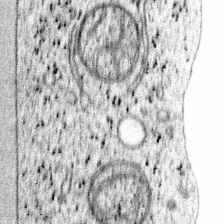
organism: Human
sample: HeLa cells